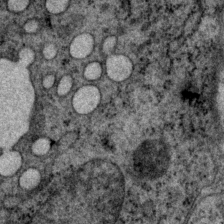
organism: P. pacificus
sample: Pharynx